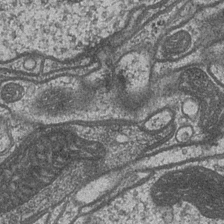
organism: Drosophila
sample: Optic medulla